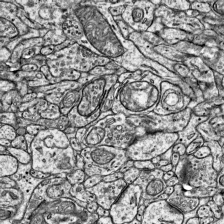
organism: Mouse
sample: Visual Cortex